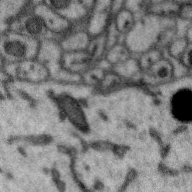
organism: Zebra finch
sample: Brain